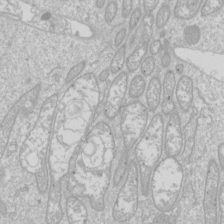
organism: Drosophila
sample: Cell division; meiosis; drosophila spermatocytes